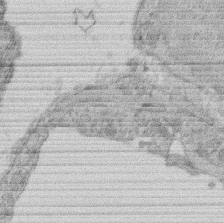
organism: Rat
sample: Salivary granule